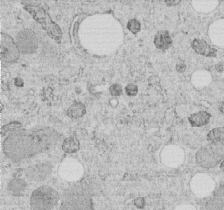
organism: C. elegans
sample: C. elegans embryo early stage